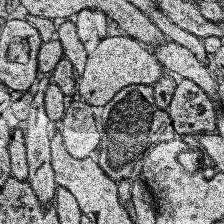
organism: Human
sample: Temporal Lobe